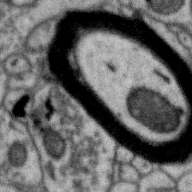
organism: Zebra finch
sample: Brain